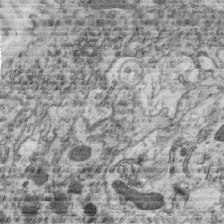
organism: C. elegans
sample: C. elegans oocyte; sperm cells